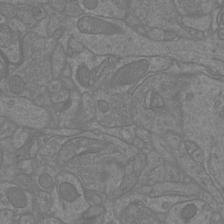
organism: Mouse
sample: Cortical neurons